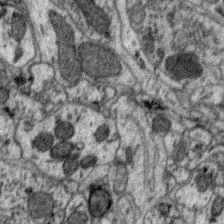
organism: Zebra finch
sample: Brain